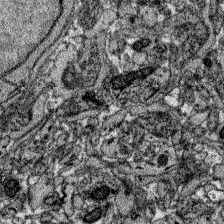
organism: Zebrafish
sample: Larval olfactory bulb